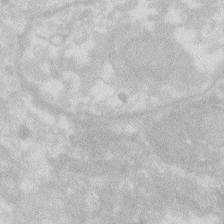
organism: Zebrafish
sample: Macrophage